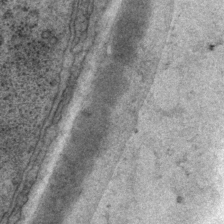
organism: P. pacificus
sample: Pharynx